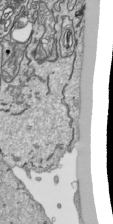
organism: Human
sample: Mitochondria in HCT116 cells